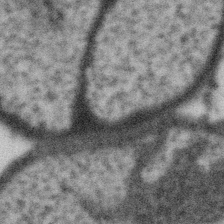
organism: Gemmata obscuriglobus